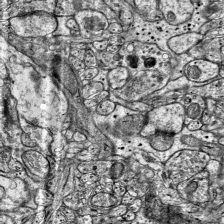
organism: Mouse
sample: Visual Cortex